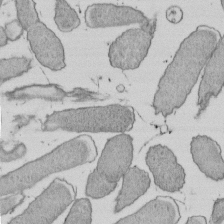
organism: E. coli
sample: Bacterial nucleoid